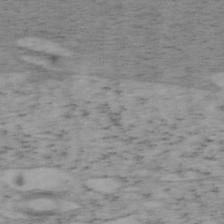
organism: Mouse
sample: OT-I killer T cells with ID8 ovarian cancer cells